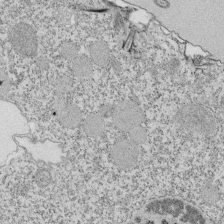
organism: Tetrahymena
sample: Cilia in tetrahymena